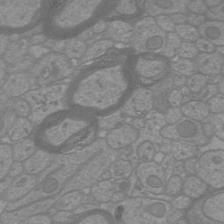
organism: Mouse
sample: Cortical neurons